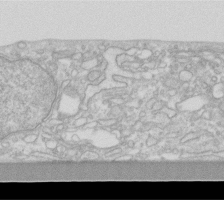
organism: Human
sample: Fibroblast cells